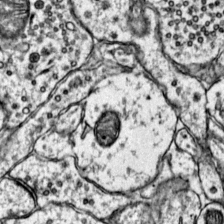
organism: Mouse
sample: Primary visual cortex